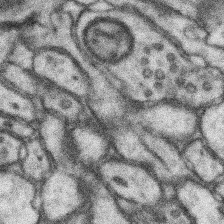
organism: Mouse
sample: Somatosensory cortex neuropil